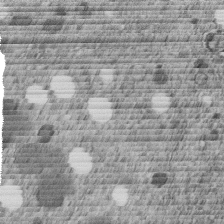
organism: C. elegans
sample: C. elegans embryo early stage